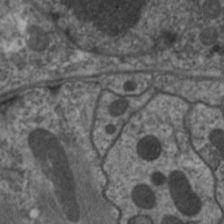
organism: C. elegans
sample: Pharynx